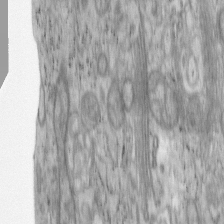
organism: Human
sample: HeLa cells